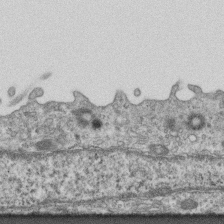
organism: Mouse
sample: Centriole in ependymal cells